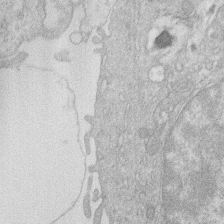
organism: Human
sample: Macrophage cells